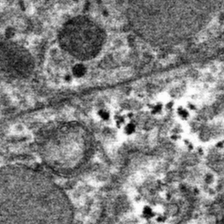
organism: Mouse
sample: Mouse hepatocytes